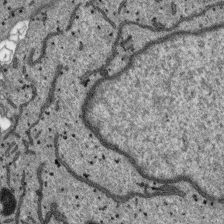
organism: Human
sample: Lung epithelial cells, uninfected (mock) control